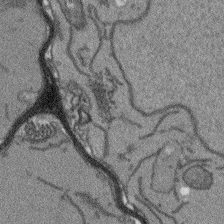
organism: Arabidopsis thaliana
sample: Root tip